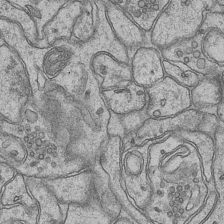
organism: Mouse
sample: CA1 Hippocampus